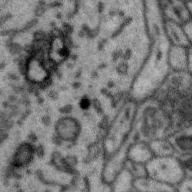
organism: Zebra finch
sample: Brain